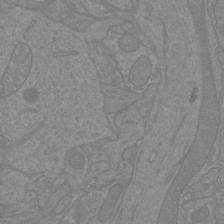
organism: Mouse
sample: Cortical neurons